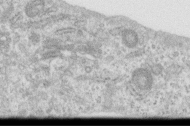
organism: Human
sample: Centriole in RPE cells